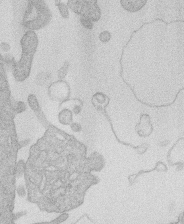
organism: Human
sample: Macrophage cells